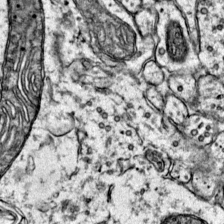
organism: Mouse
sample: Primary visual cortex